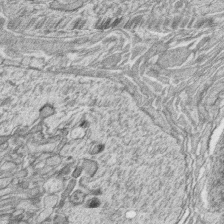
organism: Zebrafish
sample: synaptic ribbons in rod cells and cone cells